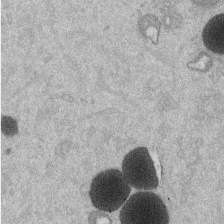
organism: Mouse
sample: Dividing mouse embryo 1 cell stage